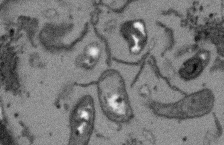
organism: Arabidopsis thaliana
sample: Root tip